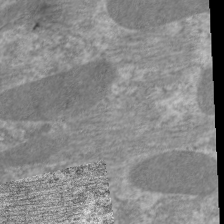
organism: C. elegans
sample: Pharynx